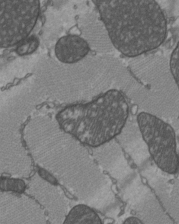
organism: C57BL Mouse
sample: Heart